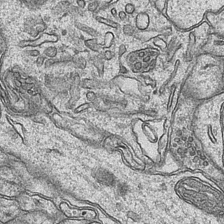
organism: Mouse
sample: CA1 Hippocampus